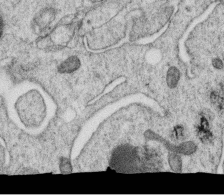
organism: C. elegans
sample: C. elegans oocyte; sperm cells